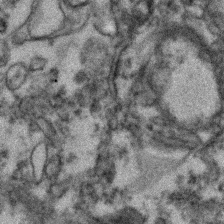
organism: Zebrafish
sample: Zebrafish embryo